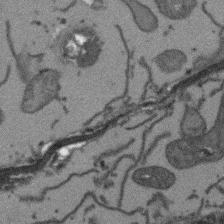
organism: Arabidopsis thaliana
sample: Root tip